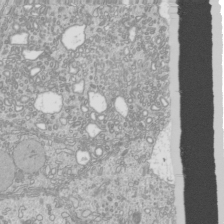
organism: Mouse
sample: Cilia; mouse epididymis